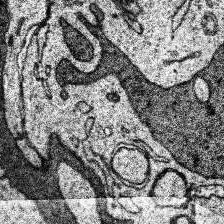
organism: Human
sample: Temporal Lobe